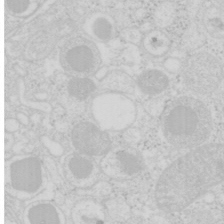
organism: Mouse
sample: Pancreas